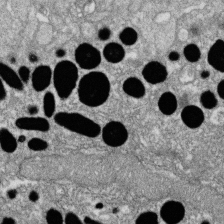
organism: Zebrafish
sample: Cilia; retinal pigment epithelium